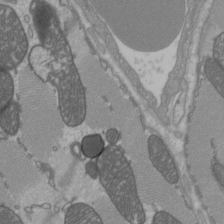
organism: C57BL Mouse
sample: Heart